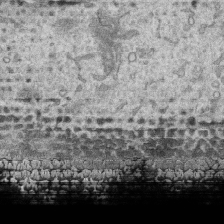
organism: Human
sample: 1205lu cells